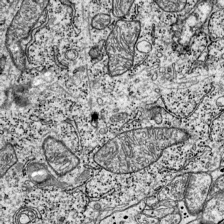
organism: Mouse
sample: Visual Cortex